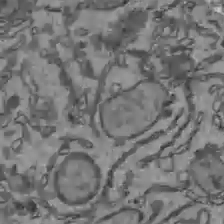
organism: C57BL Mouse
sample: Liver